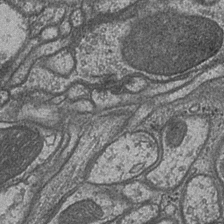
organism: Drosophila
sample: Optic medulla